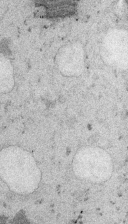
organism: Embia sp.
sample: Silk gland